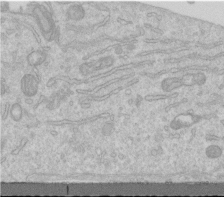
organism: Human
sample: Centriole in RPE cells